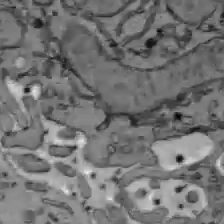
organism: C57BL Mouse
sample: Liver